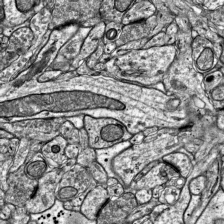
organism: Mouse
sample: Visual Cortex